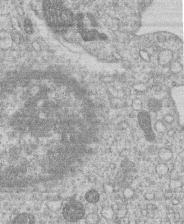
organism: Human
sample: Macrophage cells